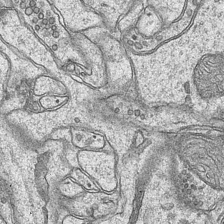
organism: Mouse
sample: CA1 Hippocampus